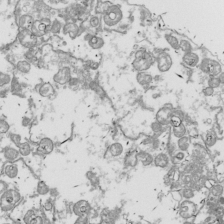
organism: Drosophila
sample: Cell division; meiosis; drosophila spermatocytes